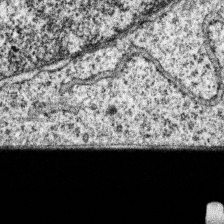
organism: Human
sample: HeLa cells